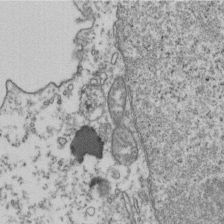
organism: Human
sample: Activated Jurkat CD4+ T cells